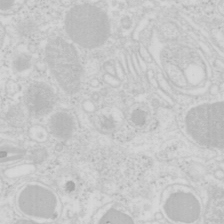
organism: Mouse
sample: Pancreas